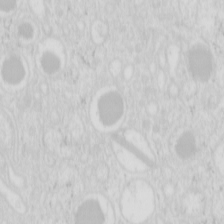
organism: Mouse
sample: Pancreas